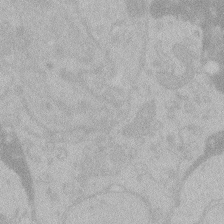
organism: Zebrafish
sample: Macrophage infected with Toxoplasma gondii